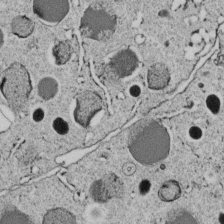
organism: C. elegans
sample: C. elegans embryo early stage